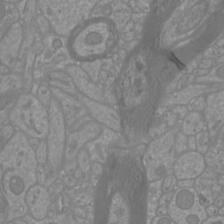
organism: Mouse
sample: Cortical neurons